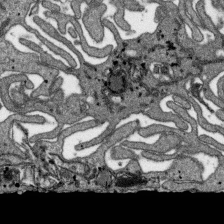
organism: Human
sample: Lung epithelial cells, uninfected (mock) control